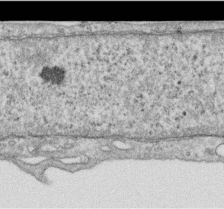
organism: Human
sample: Centriole in RPE cells